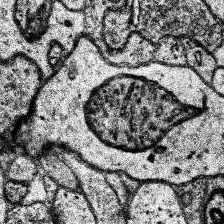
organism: Human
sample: Temporal Lobe